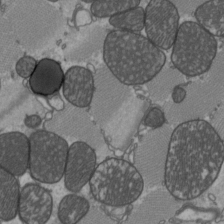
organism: C57BL Mouse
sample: Heart